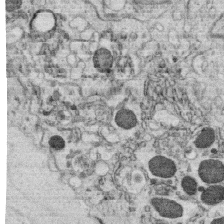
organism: C. elegans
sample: C. elegans oocyte; sperm cells